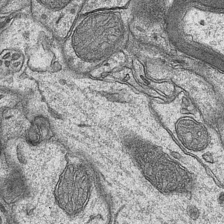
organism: Mouse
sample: CA1 Hippocampus